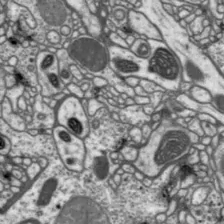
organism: Drosophila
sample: Protocerebral bridge